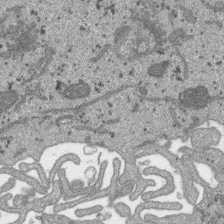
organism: Human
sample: Lung epithelial cells infected with SARS-CoV-2